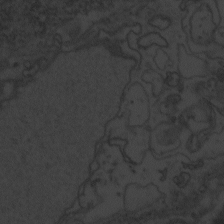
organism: Zebrafish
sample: Macrophage infected with Toxoplasma gondii